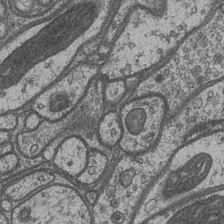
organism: Drosophila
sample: Optic medulla